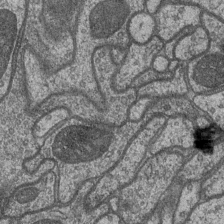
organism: Drosophila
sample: Optic medulla